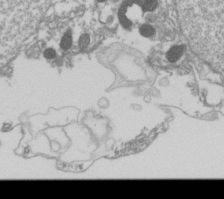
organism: Drosophila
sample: Cell division; meiosis; drosophila spermatocytes